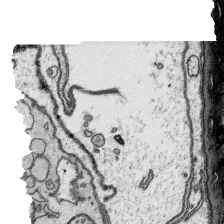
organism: Platynereis dumerilii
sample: Parapodia